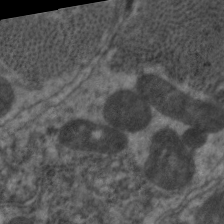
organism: C. elegans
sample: Pharynx